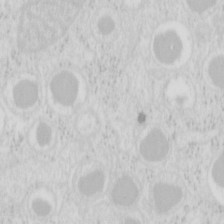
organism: Mouse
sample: Pancreas